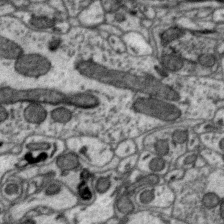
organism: Zebra finch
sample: Brain